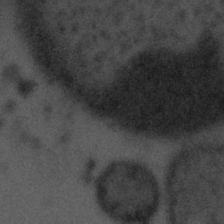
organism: Tuwongella immobilis